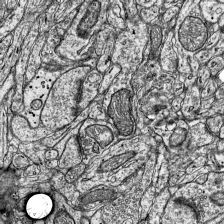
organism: Mouse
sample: Visual Cortex